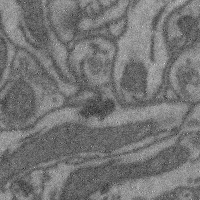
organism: Mouse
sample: Cerebral cortex